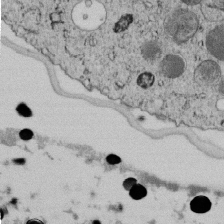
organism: C. elegans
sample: C. elegans embryo early stage